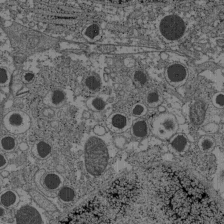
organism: C57BL Mouse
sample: Pancreatic islet